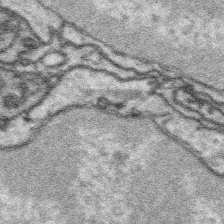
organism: Platynereis dumerilii